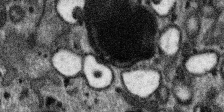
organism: Human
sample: Lung epithelial cells infected with SARS-CoV-2